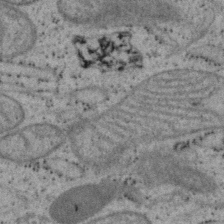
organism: Human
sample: HeLa cells